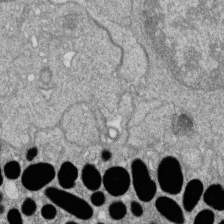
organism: Zebrafish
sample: Cilia; retinal pigment epithelium